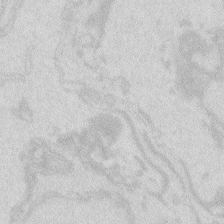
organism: Zebrafish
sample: Macrophage